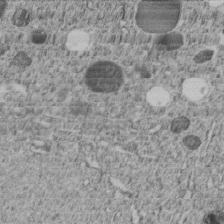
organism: C. elegans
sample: C. elegans embryo early stage